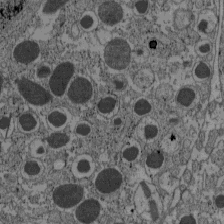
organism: C57BL Mouse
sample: Pancreatic islet